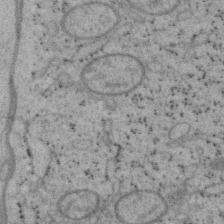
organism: Human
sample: HeLa cells